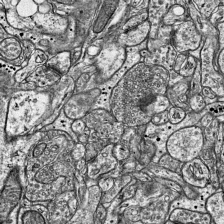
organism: Mouse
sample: Visual Cortex